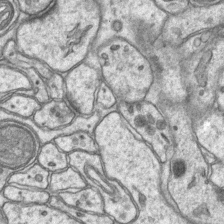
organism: Mouse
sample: CA1 Hippocampus